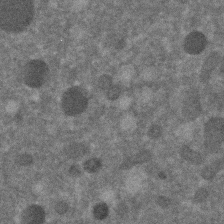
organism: C. elegans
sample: C. elegans embryo